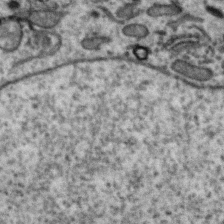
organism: Zebra finch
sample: Brain